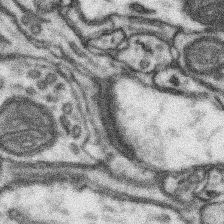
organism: Mouse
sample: Somatosensory cortex neuropil